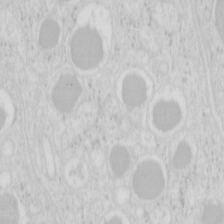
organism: Mouse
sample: Pancreas